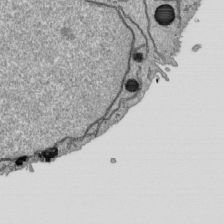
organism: Human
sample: Mitochondria in HCT116 cells